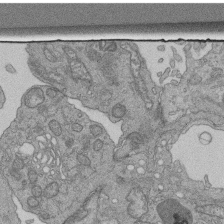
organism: Human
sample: Retinal organoid Rod and Cone cells